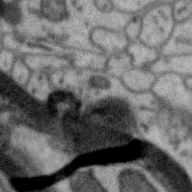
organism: Zebra finch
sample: Brain